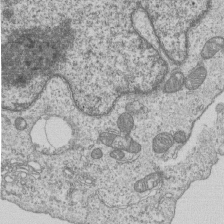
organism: Human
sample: MDA-MB-231 cells